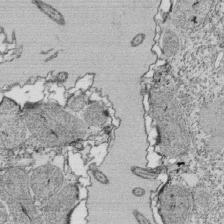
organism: Tetrahymena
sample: Cilia in tetrahymena